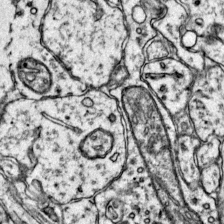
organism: Mouse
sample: Primary visual cortex